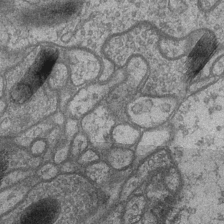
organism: Drosophila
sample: Optic medulla